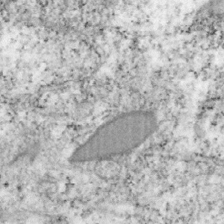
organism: Mouse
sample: OT-I killer T cells with ID8 ovarian cancer cells